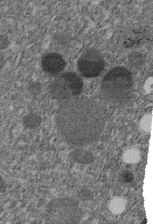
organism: C. elegans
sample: C. elegans embryo early stage